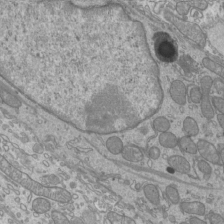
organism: Mouse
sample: Cilia; mouse epididymis